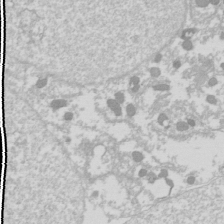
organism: Drosophila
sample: Cell division; meiosis; drosophila spermatocytes